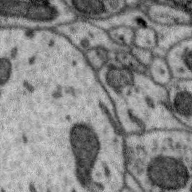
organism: Zebra finch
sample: Brain